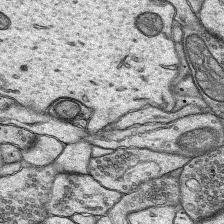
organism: Rat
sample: Hippocampus